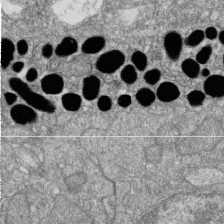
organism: Zebrafish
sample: Cilia; retinal pigment epithelium